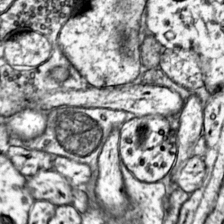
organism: Mouse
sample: Primary visual cortex